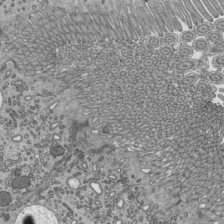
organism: Mouse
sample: Mouse epididymis efferent ductule cilia